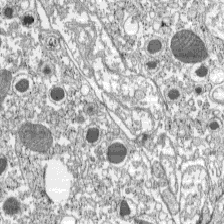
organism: C57BL Mouse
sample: Pancreatic islet